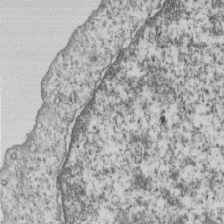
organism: Human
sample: MDA-MB-231 cells